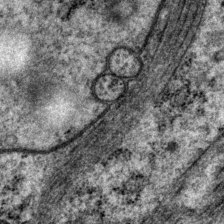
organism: P. pacificus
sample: Pharynx